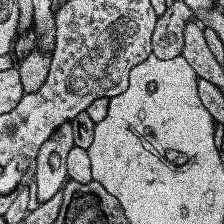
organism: Human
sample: Temporal Lobe